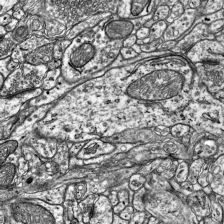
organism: Mouse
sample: Visual Cortex